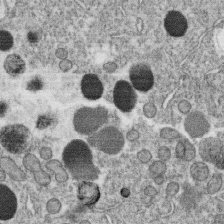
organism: C. elegans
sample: C. elegans oocyte; sperm cells